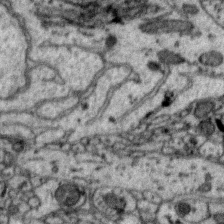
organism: Zebra finch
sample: Brain